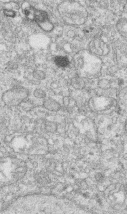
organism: Human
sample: HeLa cell HIV synapse